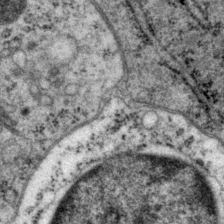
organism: P. pacificus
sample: Pharynx